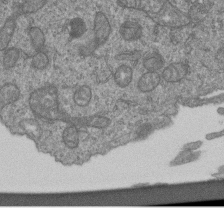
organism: Human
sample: Retinal organoid Rod and Cone cells